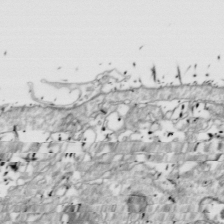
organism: Drosophila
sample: Cell division; meiosis; drosophila spermatocytes